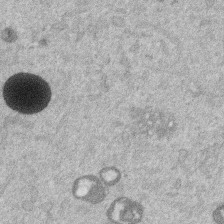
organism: Mouse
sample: Dividing mouse embryo 1 cell stage